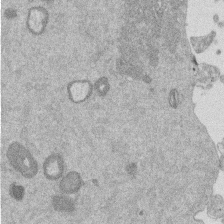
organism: Mouse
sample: Dividing mouse embryo 1 cell stage